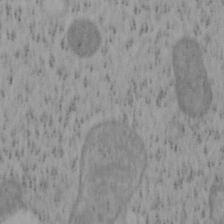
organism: Mouse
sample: OT-I killer T cells with ID8 ovarian cancer cells